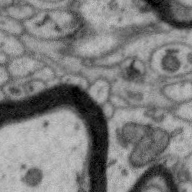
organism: Zebra finch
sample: Brain